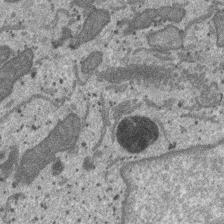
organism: Human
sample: Lung epithelial cells infected with SARS-CoV-2